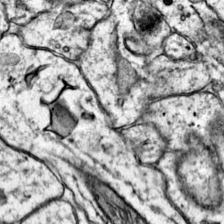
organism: Mouse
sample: Primary visual cortex